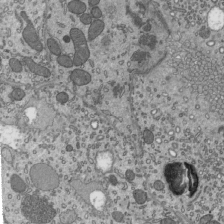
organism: Mouse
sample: Mouse epididymis efferent ductule cilia